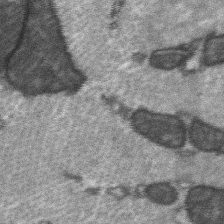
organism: C57BL Mouse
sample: Soleus